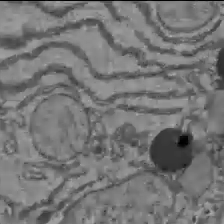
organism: C57BL Mouse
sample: Liver